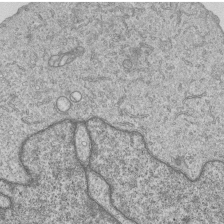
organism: Human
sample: MDA-MB-231 cells